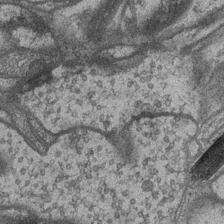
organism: Drosophila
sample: Optic medulla